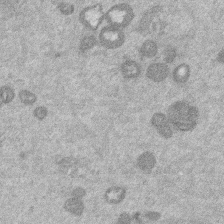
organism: Mouse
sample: Dividing mouse embryo 1 cell stage